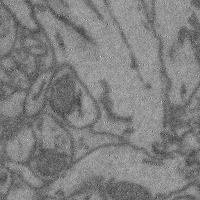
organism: Mouse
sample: Cerebral cortex